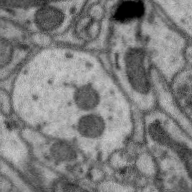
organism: Zebra finch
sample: Brain